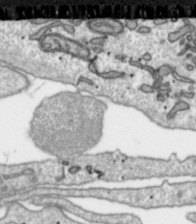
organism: Toxoplasma gondii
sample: Parasites in a vacuole inside a host cell